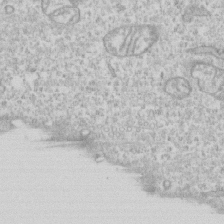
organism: Human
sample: CRL-1474